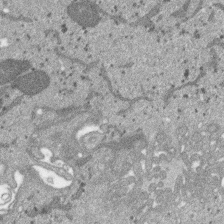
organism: Human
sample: Lung epithelial cells infected with SARS-CoV-2